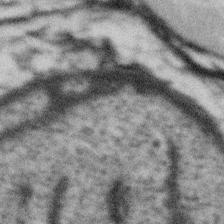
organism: Gemmata obscuriglobus